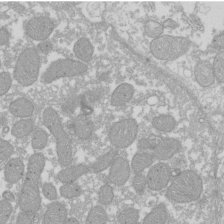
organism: Xenopus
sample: Cilia; centrioles in frog embryo cells